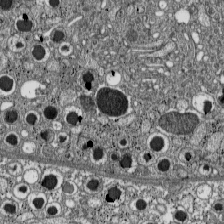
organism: C57BL Mouse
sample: Pancreatic islet